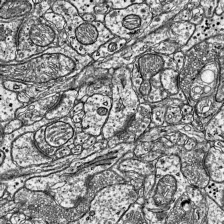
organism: Mouse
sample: Visual Cortex